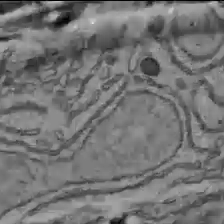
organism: C57BL Mouse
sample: Liver